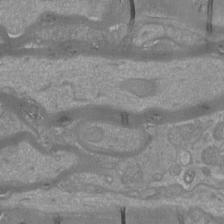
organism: Mouse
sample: Cortical neurons